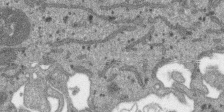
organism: Human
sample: Lung epithelial cells infected with SARS-CoV-2